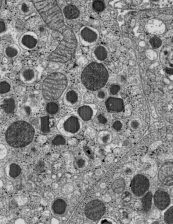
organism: C57BL Mouse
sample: Pancreatic islet